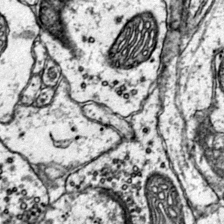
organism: Mouse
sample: Primary visual cortex